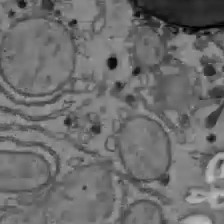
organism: C57BL Mouse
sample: Liver